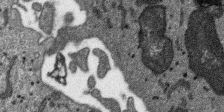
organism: Human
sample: Lung epithelial cells infected with SARS-CoV-2